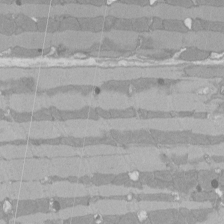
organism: Rat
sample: Left ventricle